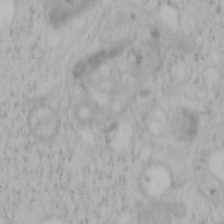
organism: Mouse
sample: OT-I killer T cells with ID8 ovarian cancer cells